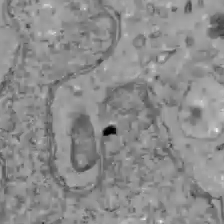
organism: C57BL Mouse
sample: Liver